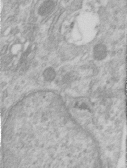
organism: Human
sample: Centriole in RPE cells